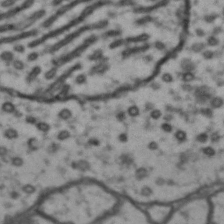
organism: Drosophila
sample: Brain